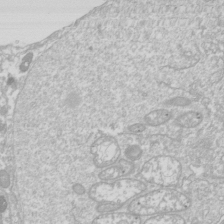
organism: Drosophila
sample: Cell division; meiosis; drosophila spermatocytes